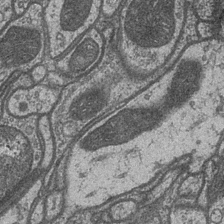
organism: Drosophila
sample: Optic medulla